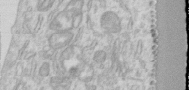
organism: Human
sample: Centriole in RPE cells